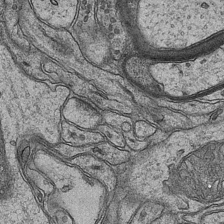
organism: Mouse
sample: CA1 Hippocampus